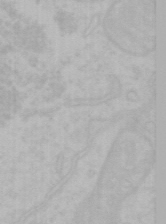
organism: Mouse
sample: Choroid plexus